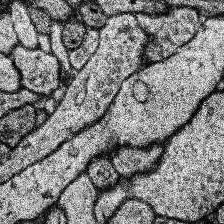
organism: Human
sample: Temporal Lobe